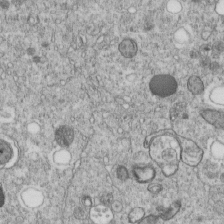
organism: C. elegans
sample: C. elegans embryo early stage